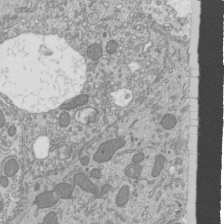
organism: Mouse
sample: Cilia; mouse epididymis